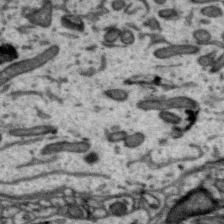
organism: Zebra finch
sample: Brain